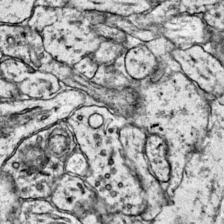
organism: Mouse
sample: Primary visual cortex